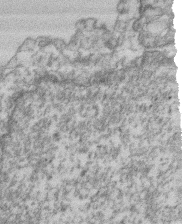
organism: Mouse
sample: T cell stromal cell synapse